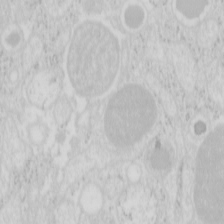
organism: Mouse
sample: Pancreas